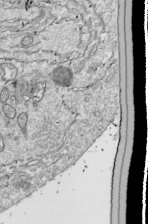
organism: Drosophila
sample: Cell division; meiosis; drosophila spermatocytes